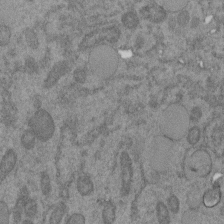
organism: C. elegans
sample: C. elegans embryo early stage